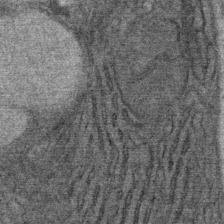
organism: Mouse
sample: Mouse Salivary gland